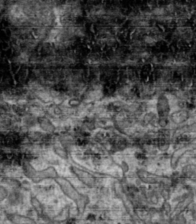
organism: Toxoplasma gondii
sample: Parasites in a vacuole inside a host cell